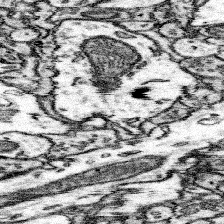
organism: Mouse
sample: Somatosensory cortex neuropil